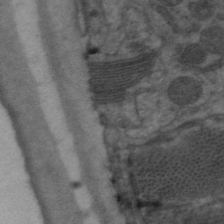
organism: C. elegans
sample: Pharynx